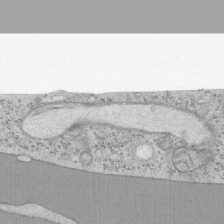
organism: Human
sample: HeLa cells